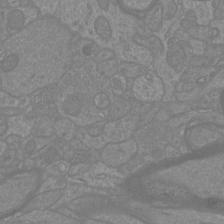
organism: Mouse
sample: Cortical neurons